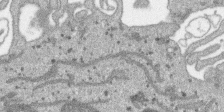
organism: Human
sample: Lung epithelial cells infected with SARS-CoV-2